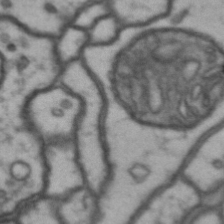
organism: Drosophila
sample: Brain